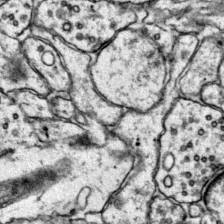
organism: Mouse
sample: Primary visual cortex